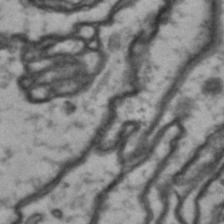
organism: Drosophila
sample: Brain